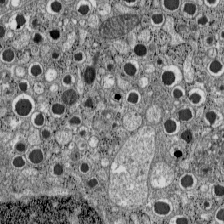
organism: C57BL Mouse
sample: Pancreatic islet